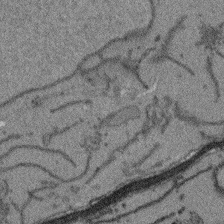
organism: Arabidopsis thaliana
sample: Root tip